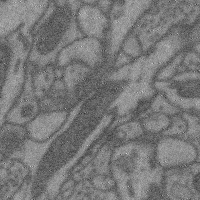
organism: Mouse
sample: Cerebral cortex